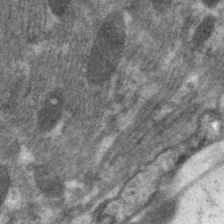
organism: C. elegans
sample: Pharynx